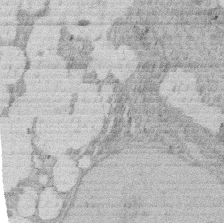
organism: Rat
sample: Salivary granule